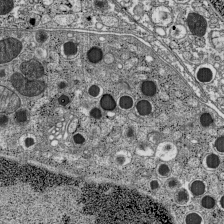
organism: C57BL Mouse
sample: Pancreatic islet